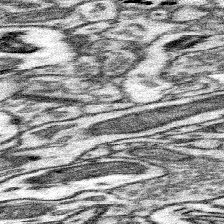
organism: Mouse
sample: Somatosensory cortex neuropil